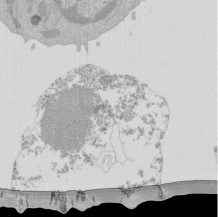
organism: Mouse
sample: Activated Pmel transgenic CD8+ T Cells